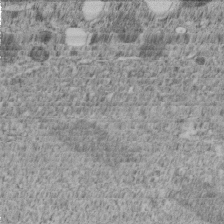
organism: C. elegans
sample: C. elegans embryo early stage